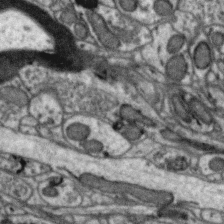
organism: Zebra finch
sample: Brain